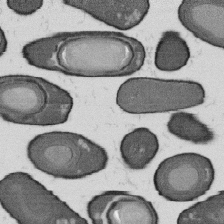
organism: B. subtilis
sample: Bacterial spore